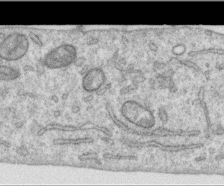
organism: Human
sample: Centriole in RPE cells